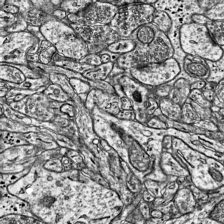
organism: Mouse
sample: Visual Cortex